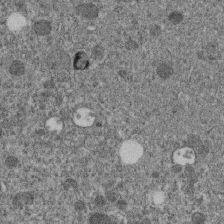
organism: C. elegans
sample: C. elegans embryo early stage